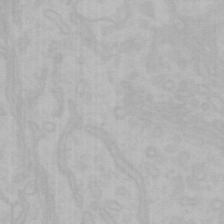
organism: Mouse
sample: Choroid plexus